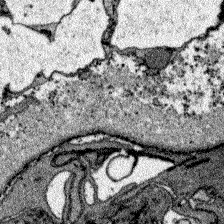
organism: Zebrafish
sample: Larval olfactory bulb